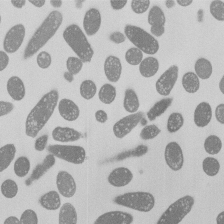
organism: E. coli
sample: Bacterial nucleoid